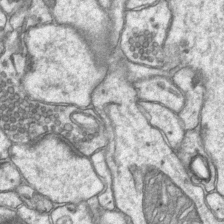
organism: Mouse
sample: CA1 Hippocampus